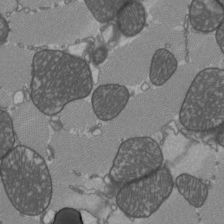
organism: C57BL Mouse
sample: Heart